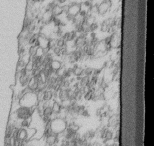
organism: Mouse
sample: Cilia; retinal pigment epithelium